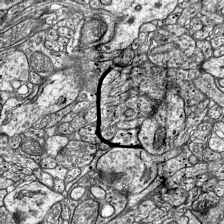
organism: Mouse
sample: Visual Cortex